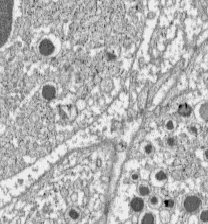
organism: C57BL Mouse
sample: Pancreatic islet